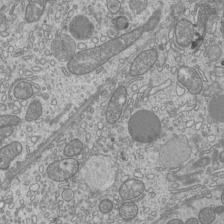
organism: Mouse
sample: Cilia; mouse epididymis